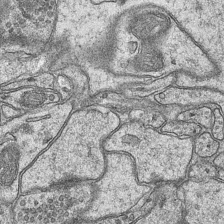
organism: Mouse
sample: CA1 Hippocampus